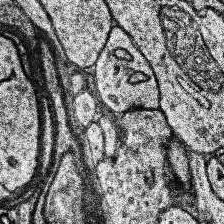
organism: Human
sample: Temporal Lobe